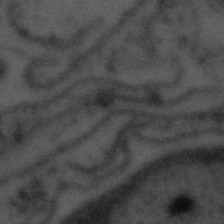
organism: Tuwongella immobilis